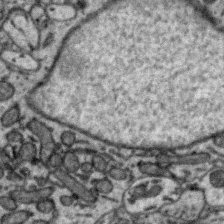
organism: Zebra finch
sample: Brain